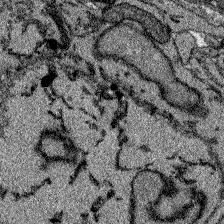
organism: Zebrafish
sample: Larval olfactory bulb